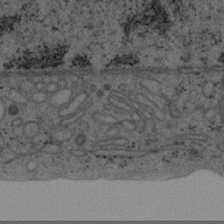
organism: Human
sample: HeLa cells